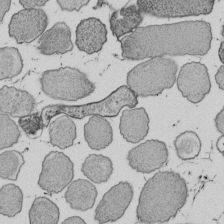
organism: E. coli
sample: Bacterial nucleoid